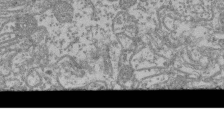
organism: Mouse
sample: Glomerulus